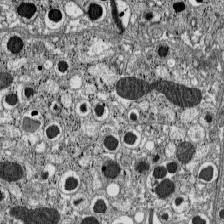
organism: C57BL Mouse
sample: Pancreatic islet